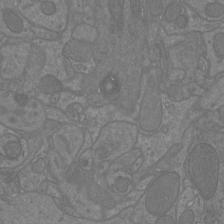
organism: Mouse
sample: Cortical neurons